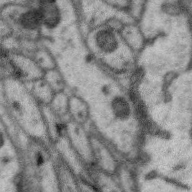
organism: Zebra finch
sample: Brain